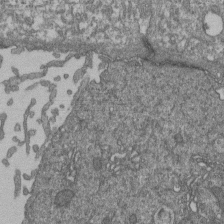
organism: Human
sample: Retinal organoid Rod and Cone cells